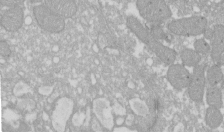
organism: Xenopus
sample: Cilia; centrioles in frog embryo cells